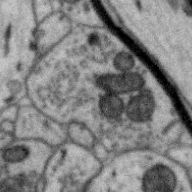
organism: Zebra finch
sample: Brain